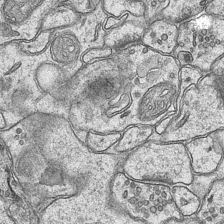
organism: Mouse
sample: CA1 Hippocampus